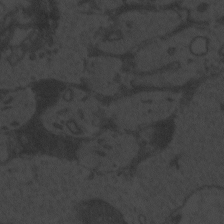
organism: Zebrafish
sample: Macrophage infected with Toxoplasma gondii